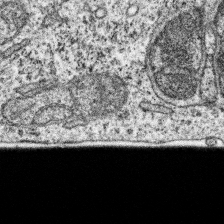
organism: Human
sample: HeLa cells